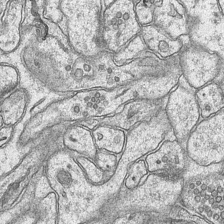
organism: Mouse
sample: CA1 Hippocampus